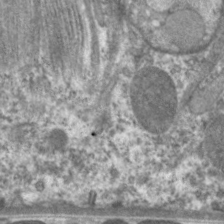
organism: C. elegans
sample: Pharynx